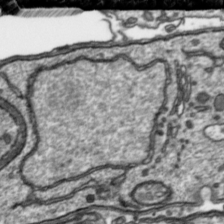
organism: Toxoplasma gondii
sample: Parasites in a vacuole inside a host cell